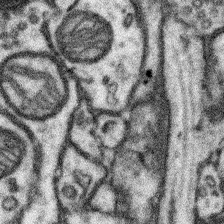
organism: Mouse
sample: Somatosensory cortex neuropil